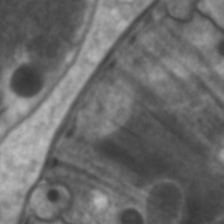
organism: C. elegans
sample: Pharynx